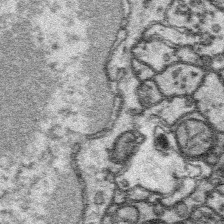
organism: Platynereis dumerilii